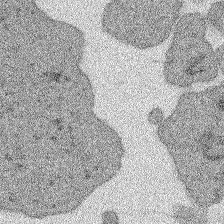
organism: Human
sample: HeLa cells